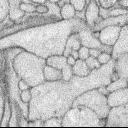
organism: Rabbit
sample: Retina